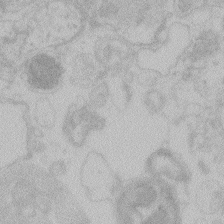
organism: Zebrafish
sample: Macrophage infected with Toxoplasma gondii